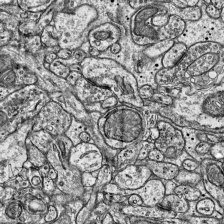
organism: Mouse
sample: Visual Cortex